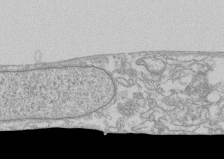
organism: Human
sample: CRL-1474